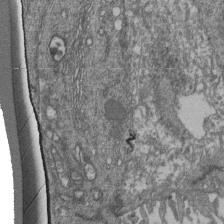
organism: Human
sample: Retinal organoid Rod and Cone cells